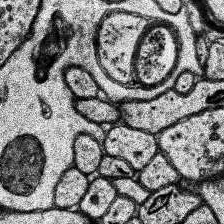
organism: Human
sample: Temporal Lobe